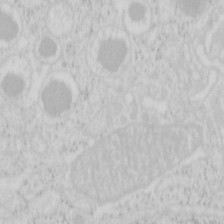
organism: Mouse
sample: Pancreas